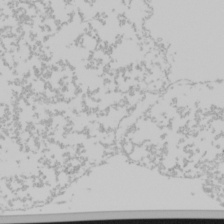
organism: Mouse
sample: Cancer cell death in ED-1 cells